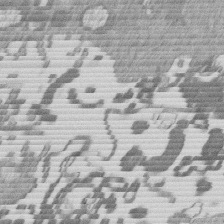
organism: Mouse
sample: Dividing mouse embryo 1 cell stage